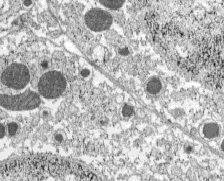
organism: C57BL Mouse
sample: Pancreatic islet